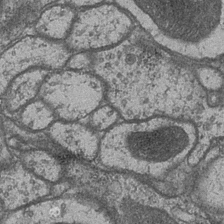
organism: Drosophila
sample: Optic medulla